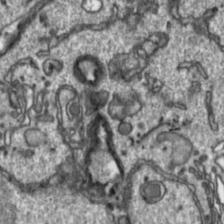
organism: Toxoplasma gondii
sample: Parasites in a vacuole inside a host cell